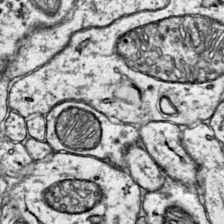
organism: Mouse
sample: Primary visual cortex